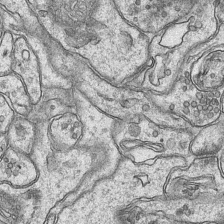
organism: Mouse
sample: CA1 Hippocampus